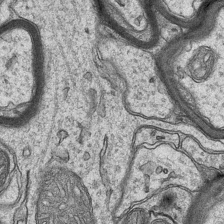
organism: Mouse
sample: CA1 Hippocampus